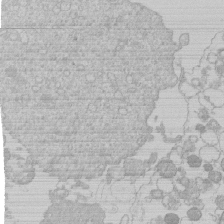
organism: Human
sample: Macrophage cells